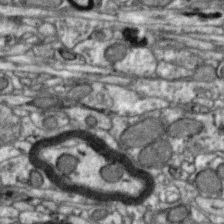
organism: Zebra finch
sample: Brain